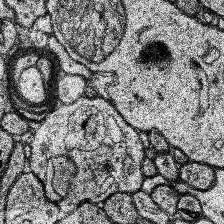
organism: Human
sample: Temporal Lobe